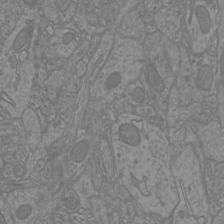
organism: Mouse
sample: Cortical neurons